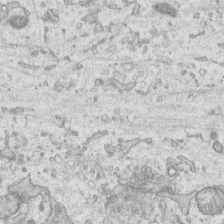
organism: Human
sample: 1205lu cells